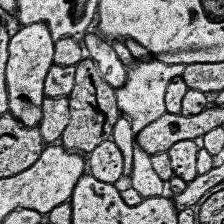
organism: Human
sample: Temporal Lobe